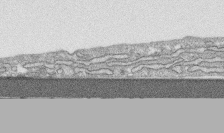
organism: Human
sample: CRL-1474